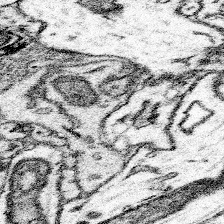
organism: Mouse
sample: Somatosensory cortex neuropil